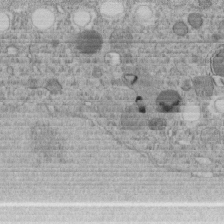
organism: C. elegans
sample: C. elegans embryo early stage